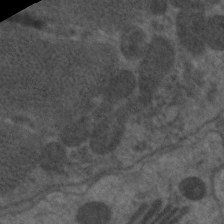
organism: C. elegans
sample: Pharynx